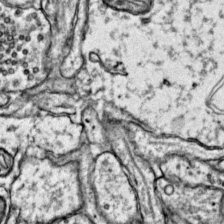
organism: Mouse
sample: Primary visual cortex